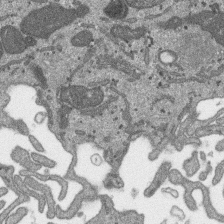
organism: Human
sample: Lung epithelial cells infected with SARS-CoV-2